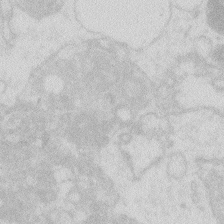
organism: Zebrafish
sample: Macrophage